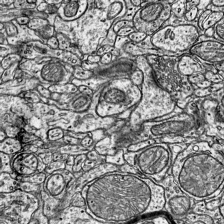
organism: Mouse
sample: Visual Cortex